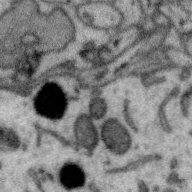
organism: Zebra finch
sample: Brain